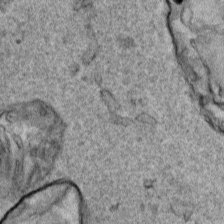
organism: Human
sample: Mitochondria in HCT116 cells